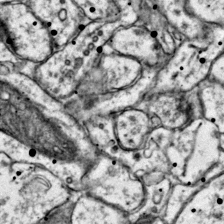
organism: Mouse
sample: Primary visual cortex